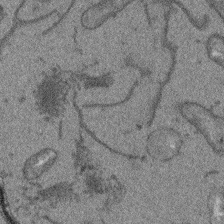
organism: Arabidopsis thaliana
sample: Root tip